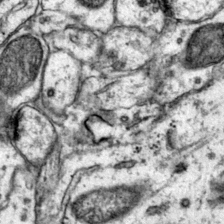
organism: Mouse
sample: Primary visual cortex